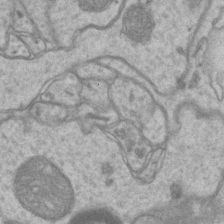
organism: Mouse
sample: CA1 Hippocampus